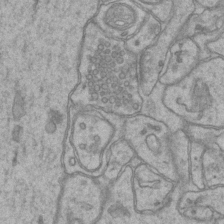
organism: Mouse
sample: CA1 Hippocampus